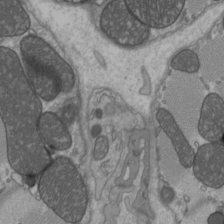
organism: C57BL Mouse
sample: Heart